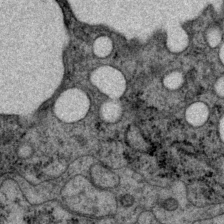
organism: P. pacificus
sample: Pharynx